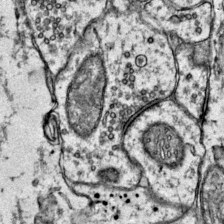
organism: Mouse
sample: Primary visual cortex